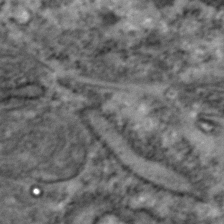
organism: Zebrafish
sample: Zebrafish embryo